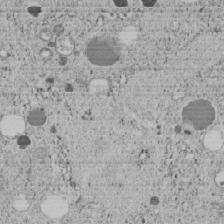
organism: C. elegans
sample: C. elegans embryo early stage